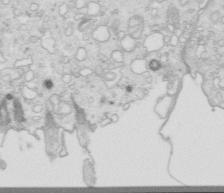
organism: Mouse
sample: Multiciliated cells